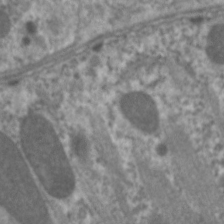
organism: C. elegans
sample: Pharynx